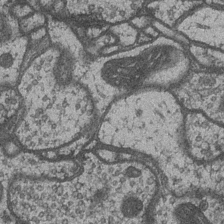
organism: Drosophila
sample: Optic medulla